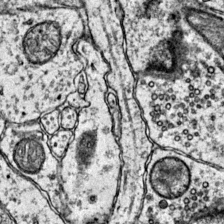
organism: Mouse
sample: Primary visual cortex